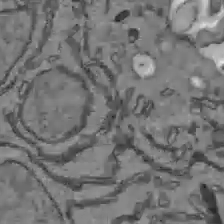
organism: C57BL Mouse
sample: Liver